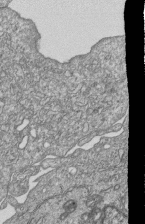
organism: Human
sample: MDA-MB-231 cells